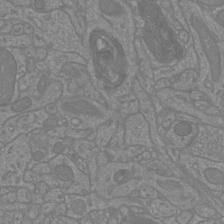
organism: Mouse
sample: Cortical neurons